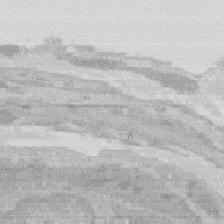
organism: Rat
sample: Salivary granule